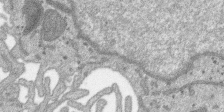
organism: Human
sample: Lung epithelial cells infected with SARS-CoV-2